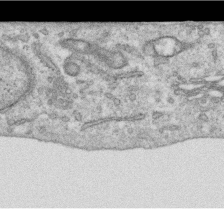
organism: Human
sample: Centriole in RPE cells